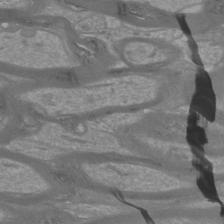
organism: Mouse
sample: Cortical neurons